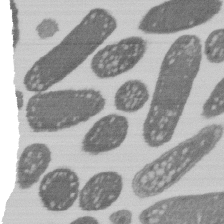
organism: E. coli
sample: Bacterial nucleoid